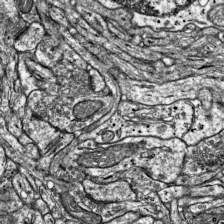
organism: Mouse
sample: Visual Cortex